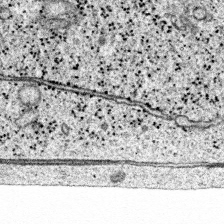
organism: Human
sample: HeLa cells